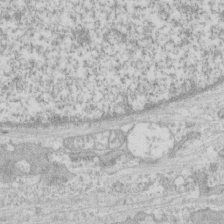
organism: Human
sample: CRL-1474